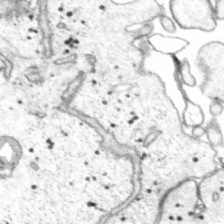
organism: Human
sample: HeLa cells